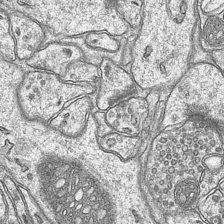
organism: Mouse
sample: CA1 Hippocampus